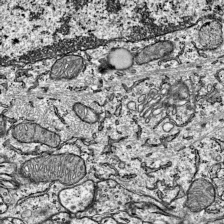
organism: Mouse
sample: Visual Cortex